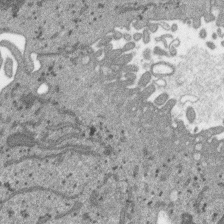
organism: Human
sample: Lung epithelial cells infected with SARS-CoV-2